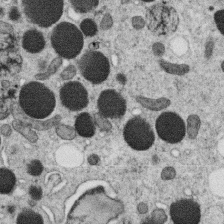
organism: C. elegans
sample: C. elegans oocyte; sperm cells